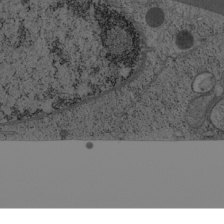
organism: African green monkey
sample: COS-7 cells